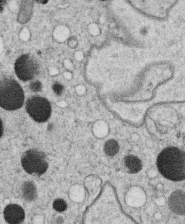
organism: C. elegans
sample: C. elegans oocyte; sperm cells